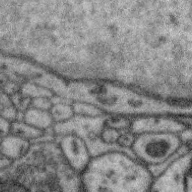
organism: Zebra finch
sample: Brain